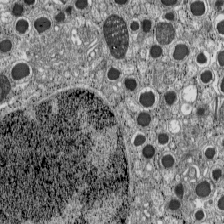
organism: C57BL Mouse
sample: Pancreatic islet